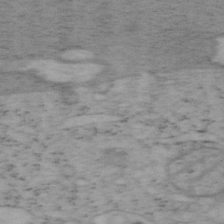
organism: Mouse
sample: OT-I killer T cells with ID8 ovarian cancer cells